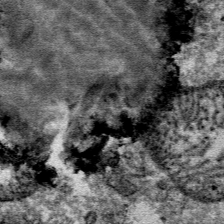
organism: Mouse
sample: Mouse Salivary gland